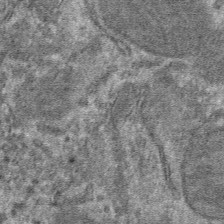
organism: Mouse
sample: Mouse hepatocytes